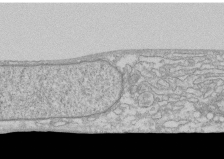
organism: Human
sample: CRL-1474